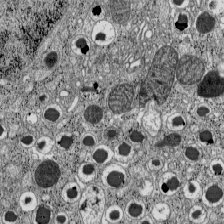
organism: C57BL Mouse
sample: Pancreatic islet